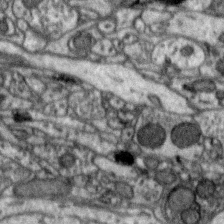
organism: Zebra finch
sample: Brain